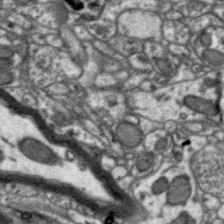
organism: Zebra finch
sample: Brain